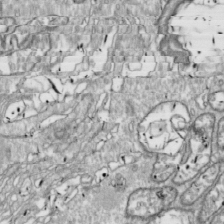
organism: Drosophila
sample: Cell division; meiosis; drosophila spermatocytes